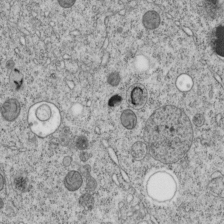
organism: C. elegans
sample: C. elegans embryo early stage